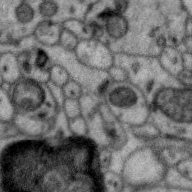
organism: Zebra finch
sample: Brain